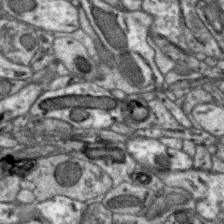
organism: Zebra finch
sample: Brain